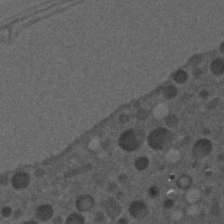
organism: C. elegans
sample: C. elegans embryo